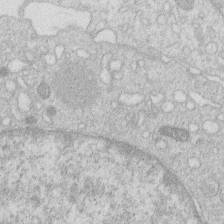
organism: Human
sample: Macrophage cells